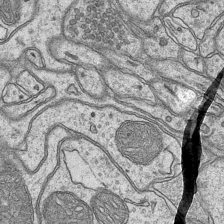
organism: Mouse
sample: CA1 Hippocampus